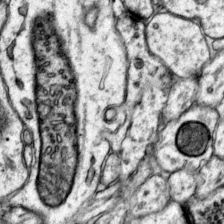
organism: Mouse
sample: Primary visual cortex